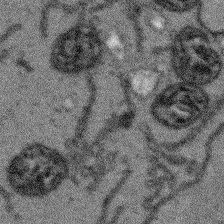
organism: Arabidopsis thaliana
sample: Root tip